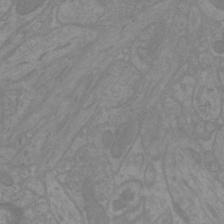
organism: Mouse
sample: Cortical neurons